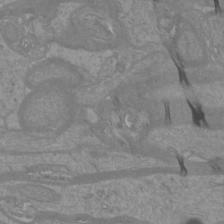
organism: Mouse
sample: Cortical neurons